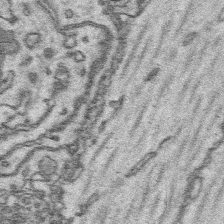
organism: Platynereis dumerilii